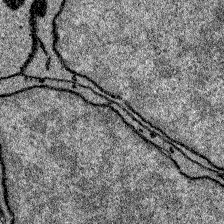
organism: Zebrafish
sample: Larval olfactory bulb